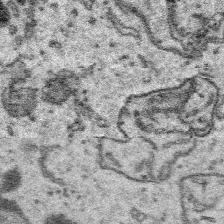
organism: Platynereis dumerilii